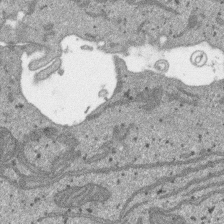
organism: Human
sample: Lung epithelial cells infected with SARS-CoV-2